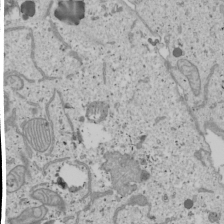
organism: Human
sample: Mitochondria in U2OS cells